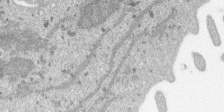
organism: Human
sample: Lung epithelial cells infected with SARS-CoV-2